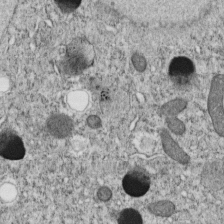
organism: C. elegans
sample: C. elegans embryo early stage